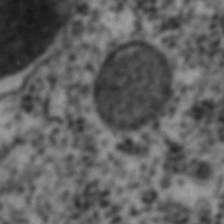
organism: C. elegans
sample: C. elegans embryo